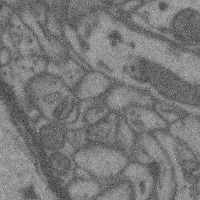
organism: Mouse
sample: Cerebral cortex